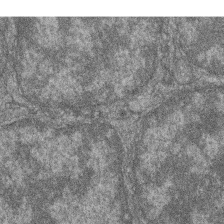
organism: Zebrafish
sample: Cilia; retinal pigment epithelium